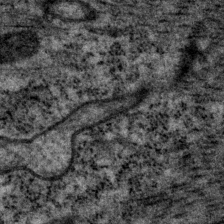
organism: P. pacificus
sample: Pharynx